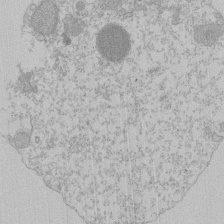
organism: Mouse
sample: Activated Pmel transgenic CD8+ T Cells